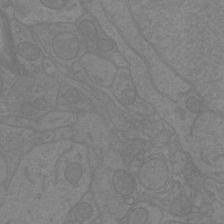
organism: Mouse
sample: Cortical neurons